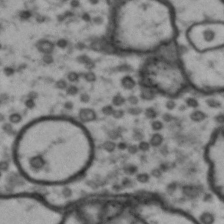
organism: Drosophila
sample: Brain